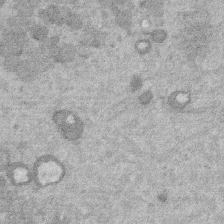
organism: Mouse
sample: Dividing mouse embryo 1 cell stage